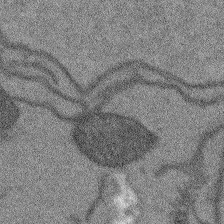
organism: Arabidopsis thaliana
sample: Root tip